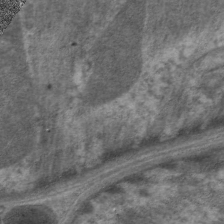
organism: C. elegans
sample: Pharynx